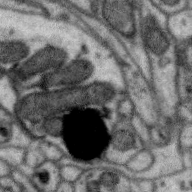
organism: Zebra finch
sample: Brain